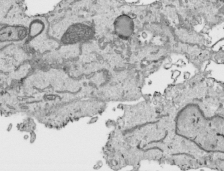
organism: Human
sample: Mitochondria in HCT116 cells